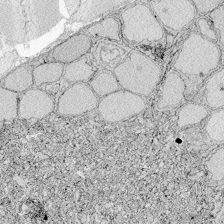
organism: Zebrafish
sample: Whole-Brain